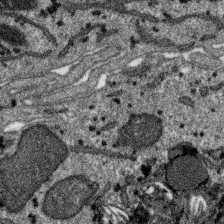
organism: Human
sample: Lung epithelial cells infected with SARS-CoV-2